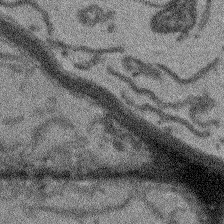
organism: Arabidopsis thaliana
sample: Root tip